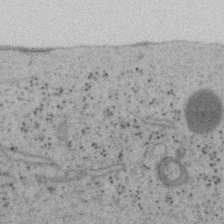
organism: Human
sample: HeLa cells